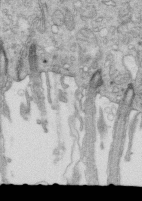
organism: Mouse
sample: Multiciliated cells